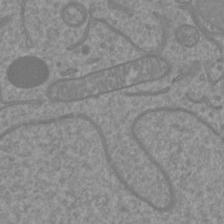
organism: Mouse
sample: Cortical neurons